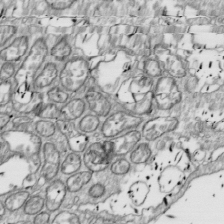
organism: Drosophila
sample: Cell division; meiosis; drosophila spermatocytes